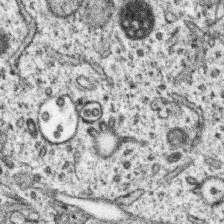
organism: Human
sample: HeLa cells